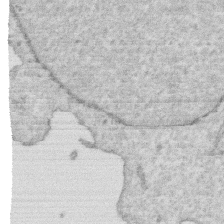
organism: Human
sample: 1205lu cells